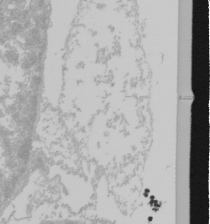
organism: Mouse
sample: Cancer cell death in ED-1 cells